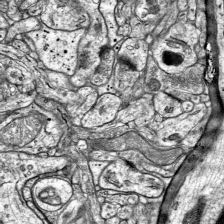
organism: Mouse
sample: Visual Cortex